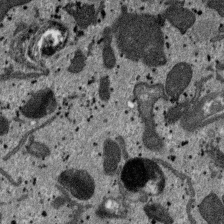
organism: Human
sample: Lung epithelial cells, uninfected (mock) control